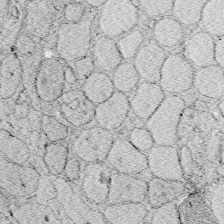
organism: Zebrafish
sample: Whole-Brain